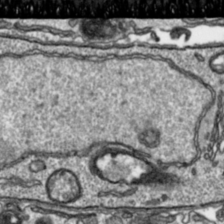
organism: Toxoplasma gondii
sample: Parasites in a vacuole inside a host cell